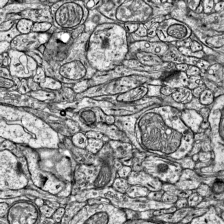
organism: Mouse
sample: Visual Cortex